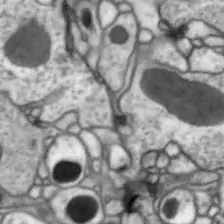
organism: Drosophila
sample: Optic lobe